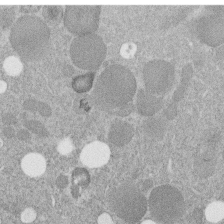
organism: C. elegans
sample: C. elegans embryo early stage